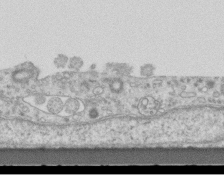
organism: Mouse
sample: Centriole in ependymal cells